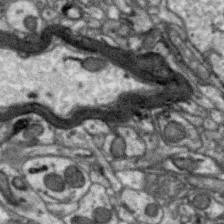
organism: Zebra finch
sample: Brain